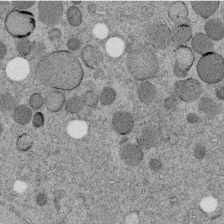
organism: C. elegans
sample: C. elegans embryo early stage